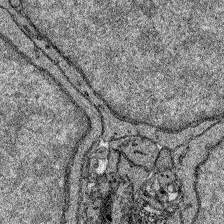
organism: Zebrafish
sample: Larval olfactory bulb